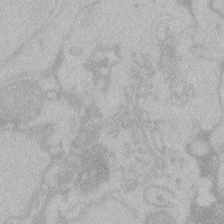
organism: Zebrafish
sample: Macrophage infected with Toxoplasma gondii